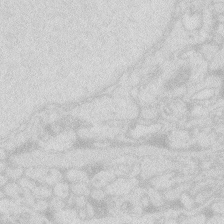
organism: Zebrafish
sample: Macrophage